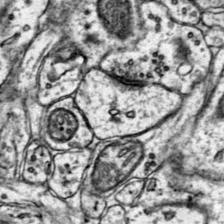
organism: Mouse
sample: Primary visual cortex